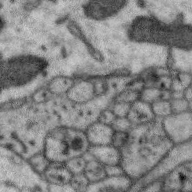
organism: Zebra finch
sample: Brain